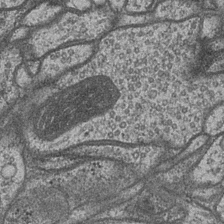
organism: Drosophila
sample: Optic medulla